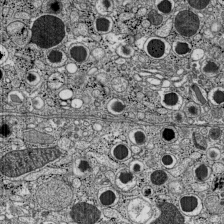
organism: C57BL Mouse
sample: Pancreatic islet